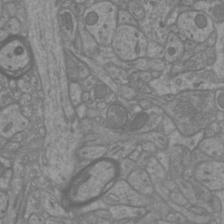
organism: Mouse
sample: Cortical neurons